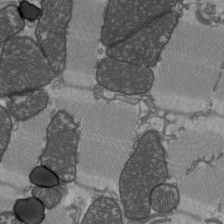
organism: C57BL Mouse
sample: Heart